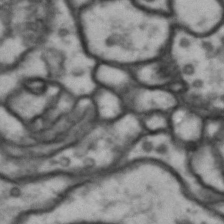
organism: Drosophila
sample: Brain